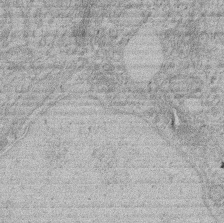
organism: Rat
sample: Salivary granule